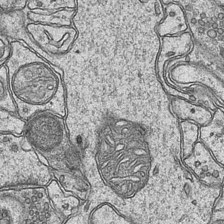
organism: Mouse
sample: CA1 Hippocampus